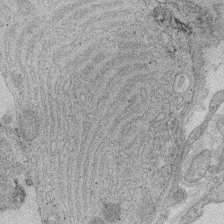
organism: Rat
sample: Salivary granule